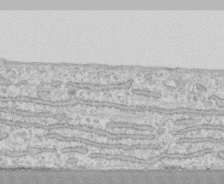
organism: Human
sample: CRL-1474